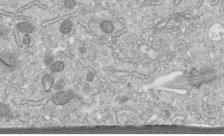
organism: Human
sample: Centriole in fibroblast cells